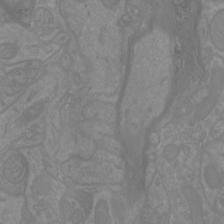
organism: Mouse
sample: Cortical neurons